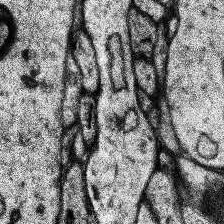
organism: Human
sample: Temporal Lobe